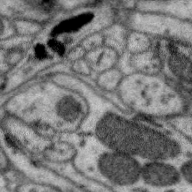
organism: Zebra finch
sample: Brain